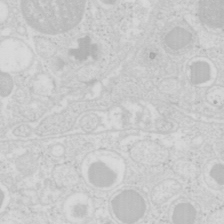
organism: Mouse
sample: Pancreas